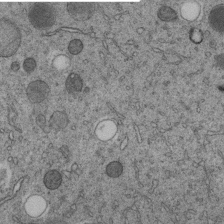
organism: C. elegans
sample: C. elegans embryo early stage